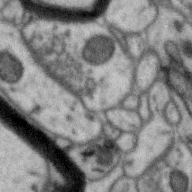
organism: Zebra finch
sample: Brain